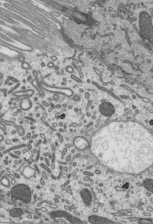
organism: Mouse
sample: Mouse epididymis efferent ductule cilia